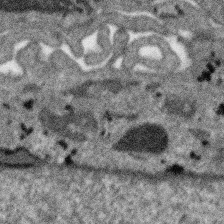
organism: Human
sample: Lung epithelial cells infected with SARS-CoV-2